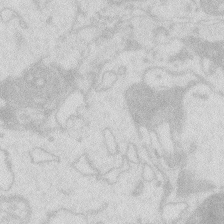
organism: Zebrafish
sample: Macrophage